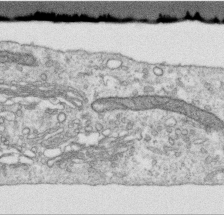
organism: Human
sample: Centriole in RPE cells